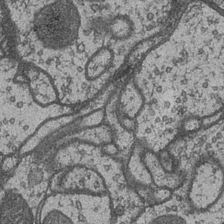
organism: Drosophila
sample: Optic medulla